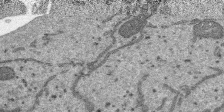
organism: Human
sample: Lung epithelial cells infected with SARS-CoV-2